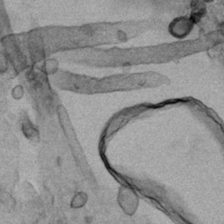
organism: Human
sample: Mitochondria in HCT116 cells